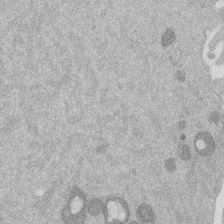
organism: Mouse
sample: Dividing mouse embryo 1 cell stage